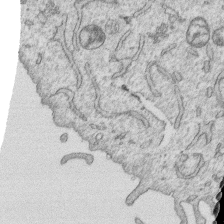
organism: Human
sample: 1205lu cells